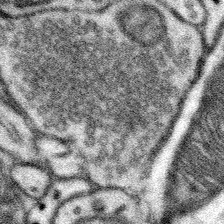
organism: Mouse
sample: Somatosensory cortex neuropil